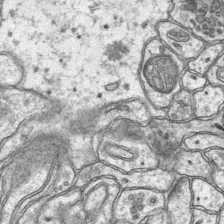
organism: Mouse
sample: CA1 Hippocampus